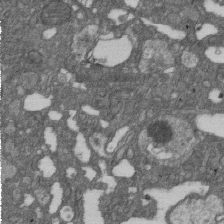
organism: Drosophila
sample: Nephrocyte